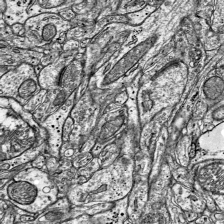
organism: Mouse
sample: Visual Cortex